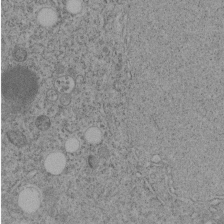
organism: C. elegans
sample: C. elegans embryo early stage